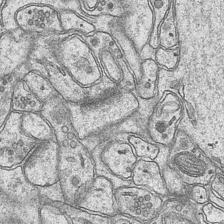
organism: Mouse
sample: CA1 Hippocampus